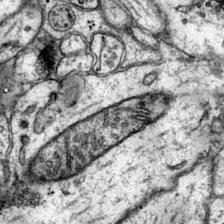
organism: Mouse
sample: Primary visual cortex